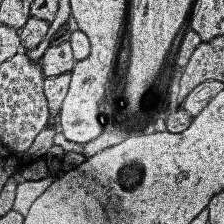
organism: Human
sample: Temporal Lobe